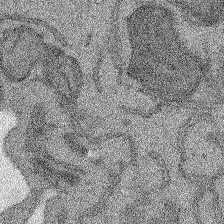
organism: Human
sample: HeLa cells